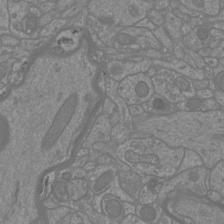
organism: Mouse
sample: Cortical neurons